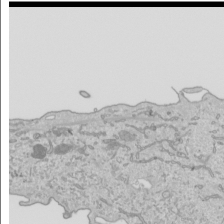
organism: Human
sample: Mitochondria in HCT116 cells